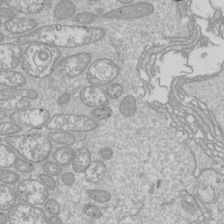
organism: Drosophila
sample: Cell division; meiosis; drosophila spermatocytes